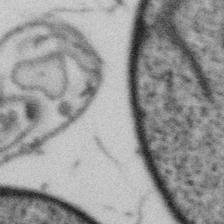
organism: Gemmata obscuriglobus